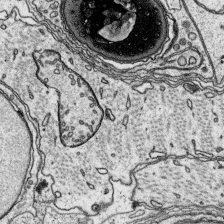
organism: Platynereis dumerilii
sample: Parapodia